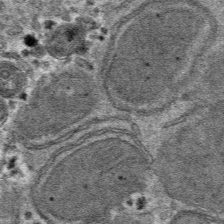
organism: Mouse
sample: Mouse hepatocytes